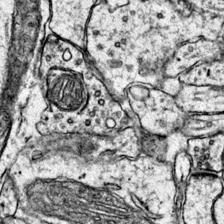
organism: Mouse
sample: Primary visual cortex